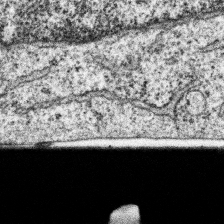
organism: Human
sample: HeLa cells